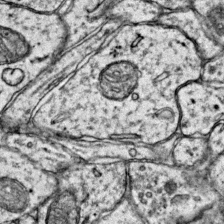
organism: Mouse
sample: Primary visual cortex